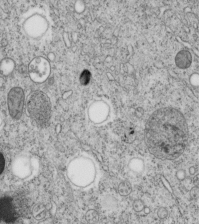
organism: C. elegans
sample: C. elegans embryo early stage